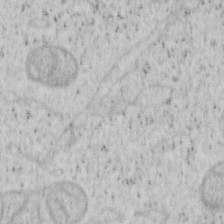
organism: Human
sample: HeLa cells